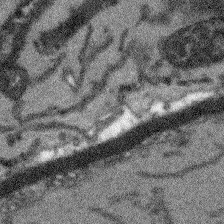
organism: Arabidopsis thaliana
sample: Root tip